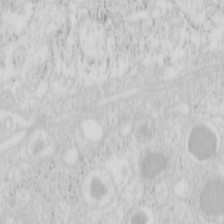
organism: Mouse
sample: Pancreas